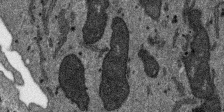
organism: Human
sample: Lung epithelial cells infected with SARS-CoV-2